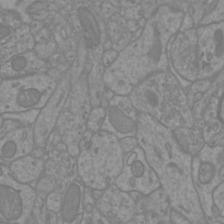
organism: Mouse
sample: Cortical neurons